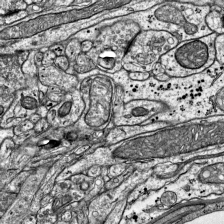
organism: Mouse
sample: Visual Cortex